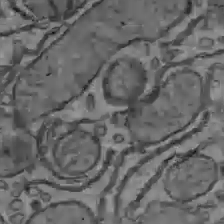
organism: C57BL Mouse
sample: Liver